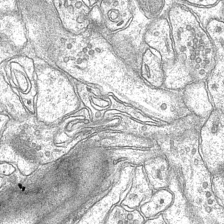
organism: Mouse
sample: CA1 Hippocampus